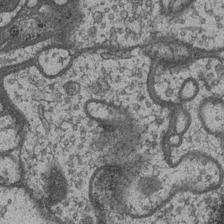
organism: Drosophila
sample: Optic medulla